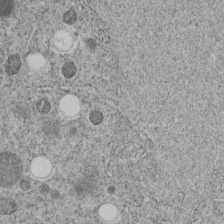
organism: C. elegans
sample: C. elegans embryo early stage